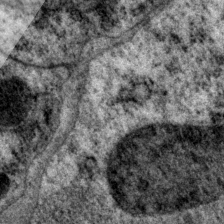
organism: P. pacificus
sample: Pharynx